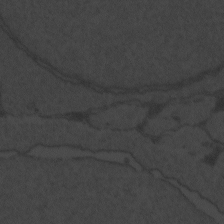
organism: Zebrafish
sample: Macrophage infected with Toxoplasma gondii